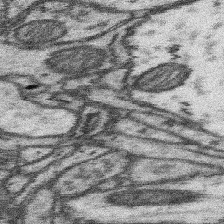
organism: Mouse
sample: Somatosensory cortex neuropil